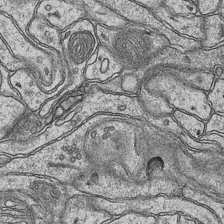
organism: Mouse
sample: CA1 Hippocampus